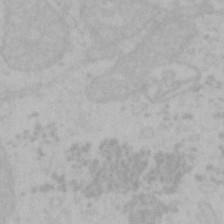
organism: Mouse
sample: Choroid plexus